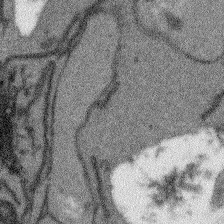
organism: Arabidopsis thaliana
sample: Root tip